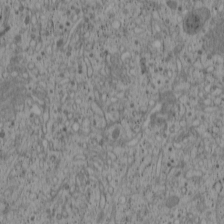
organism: African green monkey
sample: COS-7 cells